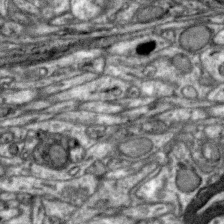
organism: Zebra finch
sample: Brain